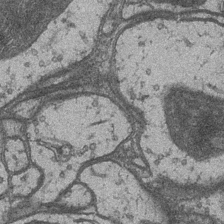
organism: Drosophila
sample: Optic medulla